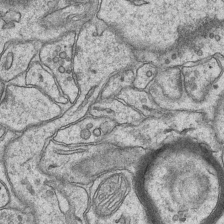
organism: Mouse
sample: CA1 Hippocampus